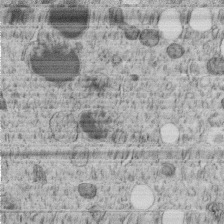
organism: C. elegans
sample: C. elegans embryo early stage